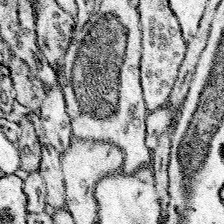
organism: Mouse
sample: Somatosensory cortex neuropil